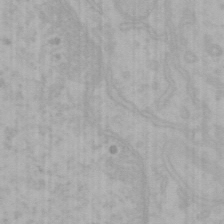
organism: Mouse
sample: Choroid plexus